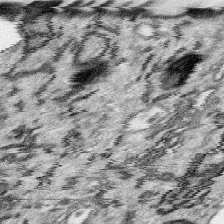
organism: Human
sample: HeLa cells